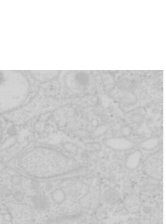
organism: Mouse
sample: Pancreas